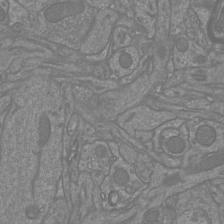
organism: Mouse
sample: Cortical neurons